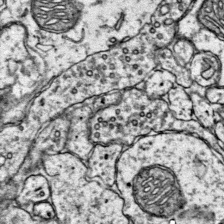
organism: Mouse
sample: Primary visual cortex